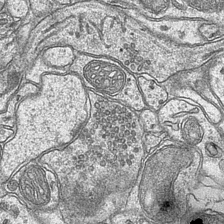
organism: Mouse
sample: CA1 Hippocampus